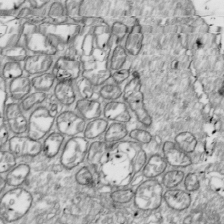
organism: Drosophila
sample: Cell division; meiosis; drosophila spermatocytes